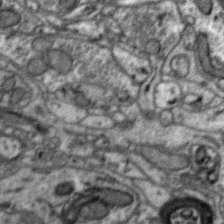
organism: Zebra finch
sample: Brain